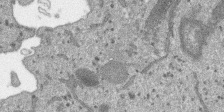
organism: Human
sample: Lung epithelial cells infected with SARS-CoV-2